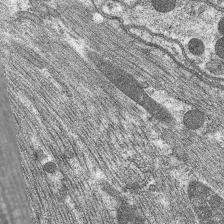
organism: C. elegans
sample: Pharynx